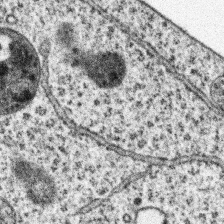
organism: Human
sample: HeLa cells